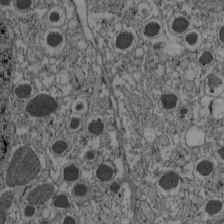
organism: C57BL Mouse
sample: Pancreatic islet